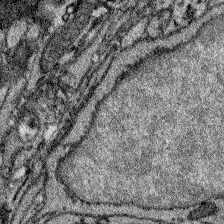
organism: Zebrafish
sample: Larval olfactory bulb